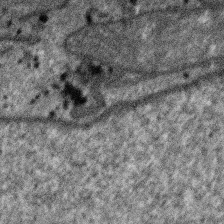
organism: Human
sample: Lung epithelial cells infected with SARS-CoV-2